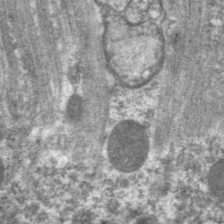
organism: C. elegans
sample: Pharynx